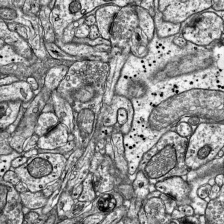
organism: Mouse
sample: Visual Cortex